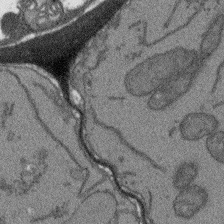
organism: Arabidopsis thaliana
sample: Root tip